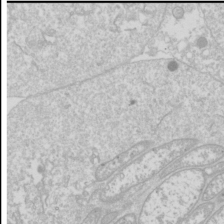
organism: Drosophila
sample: Cell division; meiosis; drosophila spermatocytes